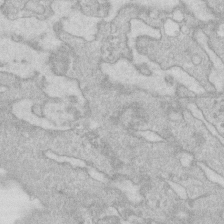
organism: Human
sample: Fibroblast cells